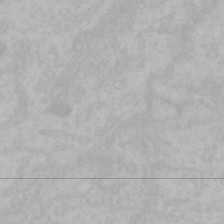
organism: Mouse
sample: Choroid plexus